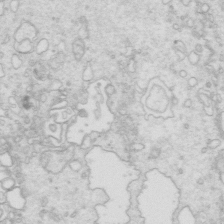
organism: Mouse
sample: Multiciliated cells